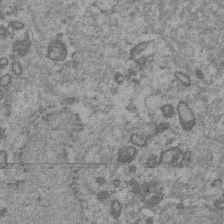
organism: Mouse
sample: Dividing mouse embryo 1 cell stage